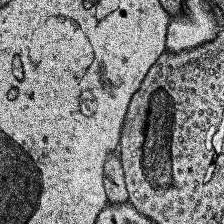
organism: Human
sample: Temporal Lobe